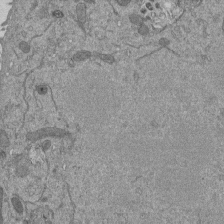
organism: Mouse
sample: ED-1 cell nuclei; centrioles